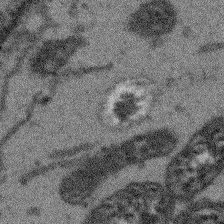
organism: Arabidopsis thaliana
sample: Root tip